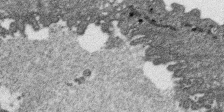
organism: Human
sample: Lung epithelial cells infected with SARS-CoV-2